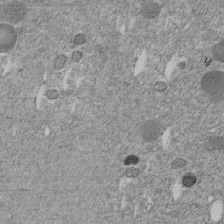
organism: C. elegans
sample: C. elegans embryo early stage